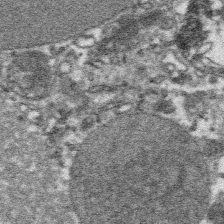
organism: Platynereis dumerilii